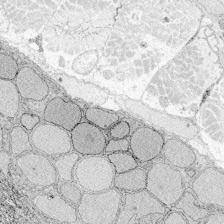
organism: Zebrafish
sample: Whole-Brain